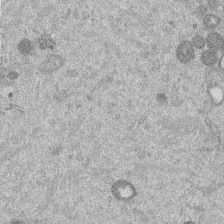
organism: Mouse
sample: Dividing mouse embryo 1 cell stage